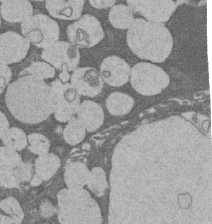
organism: Rat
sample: Salivary granule